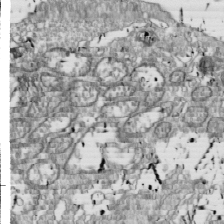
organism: Drosophila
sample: Cell division; meiosis; drosophila spermatocytes